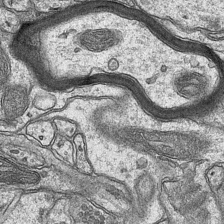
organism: Mouse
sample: CA1 Hippocampus